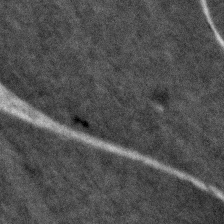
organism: Zebrafish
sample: Zebrafish embryo